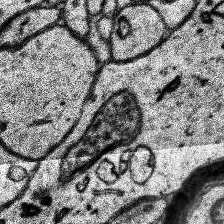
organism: Human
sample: Temporal Lobe